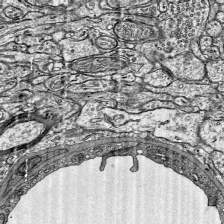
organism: Mouse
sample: Visual Cortex